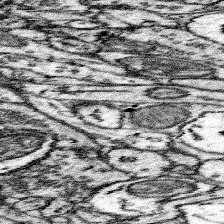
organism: Mouse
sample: Somatosensory cortex neuropil